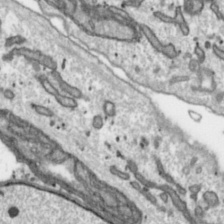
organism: Toxoplasma gondii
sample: Parasites in a vacuole inside a host cell